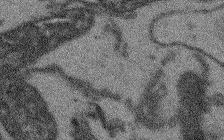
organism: Arabidopsis thaliana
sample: Root tip